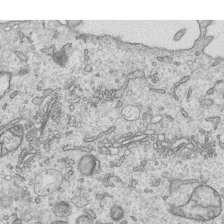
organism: Human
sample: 1205lu cells